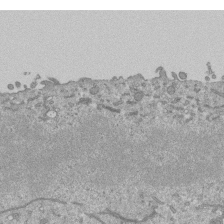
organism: Mouse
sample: ED-1 cell nuclei; centrioles